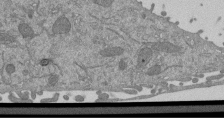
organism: Mouse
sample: ED-1 cell nuclei; centrioles